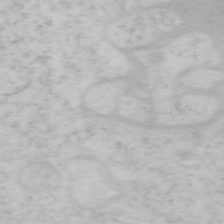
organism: Mouse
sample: OT-I killer T cells with ID8 ovarian cancer cells